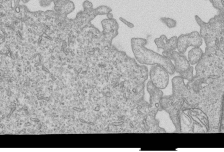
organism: Human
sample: MDA-MB-231 cells